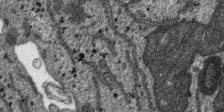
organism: Human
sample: Lung epithelial cells infected with SARS-CoV-2